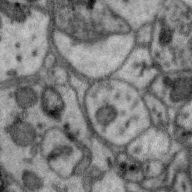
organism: Zebra finch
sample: Brain